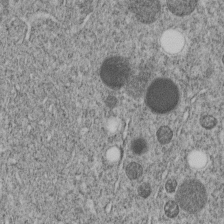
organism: C. elegans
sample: C. elegans embryo early stage